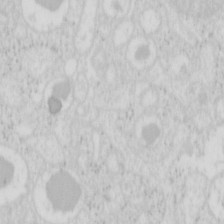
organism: Mouse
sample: Pancreas